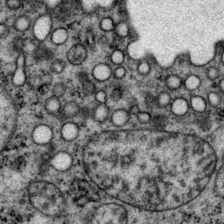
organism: P. pacificus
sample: Pharynx